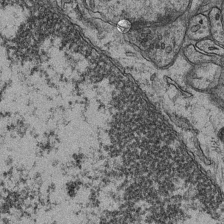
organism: Mouse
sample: CA1 Hippocampus